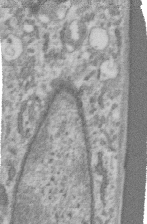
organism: Human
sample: Centriole in RPE cells